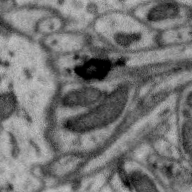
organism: Zebra finch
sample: Brain